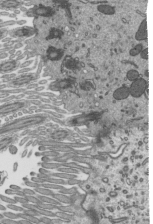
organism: Mouse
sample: Mouse epididymis efferent ductule cilia